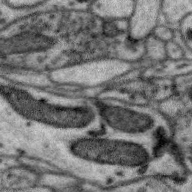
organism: Zebra finch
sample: Brain